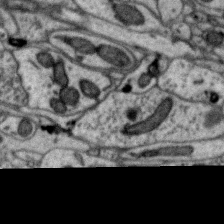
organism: Zebra finch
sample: Brain